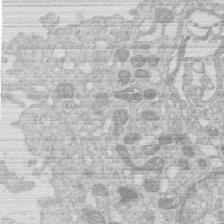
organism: Human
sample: Macrophage cells